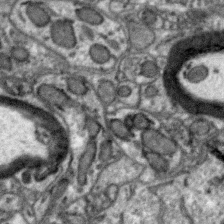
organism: Zebra finch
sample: Brain